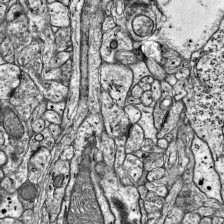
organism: Mouse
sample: Visual Cortex